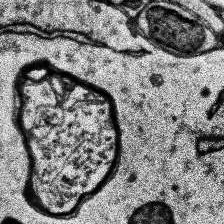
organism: Human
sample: Temporal Lobe